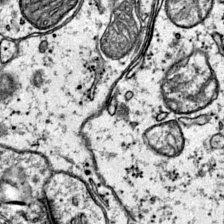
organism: Mouse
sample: Primary visual cortex